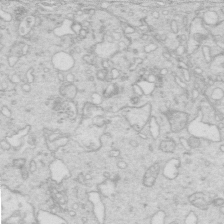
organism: Mouse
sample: Multiciliated cells